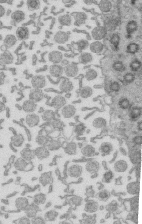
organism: Mouse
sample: Multiciliated cells